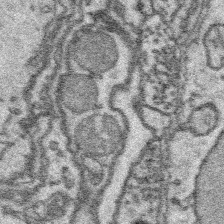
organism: Platynereis dumerilii